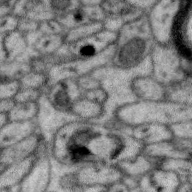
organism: Zebra finch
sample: Brain